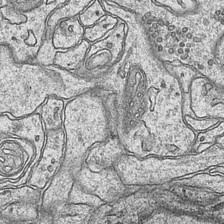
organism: Mouse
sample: CA1 Hippocampus